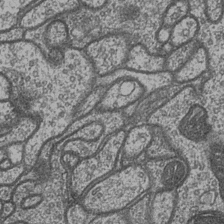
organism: Drosophila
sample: Optic medulla